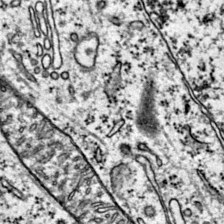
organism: Mouse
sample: Primary visual cortex